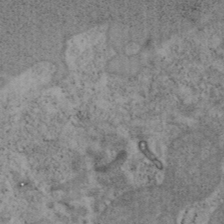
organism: Mouse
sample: OT-I killer T cells with ID8 ovarian cancer cells